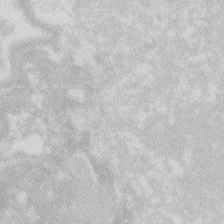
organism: Zebrafish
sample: Macrophage